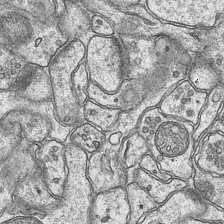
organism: Mouse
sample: CA1 Hippocampus